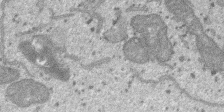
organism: Human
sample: Lung epithelial cells infected with SARS-CoV-2